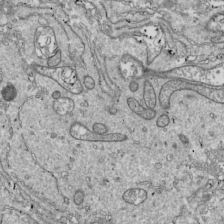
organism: Drosophila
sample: Cell division; meiosis; drosophila spermatocytes